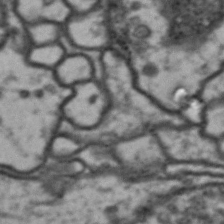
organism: Drosophila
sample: Brain